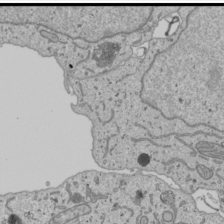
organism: Human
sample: Mitochondria in U2OS cells